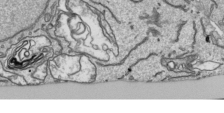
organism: Human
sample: Mitochondria in HCT116 cells